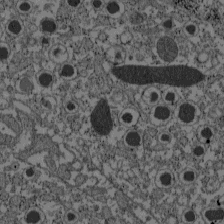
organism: C57BL Mouse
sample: Pancreatic islet